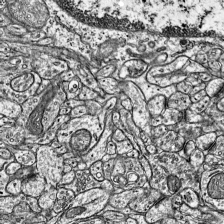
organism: Mouse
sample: Visual Cortex